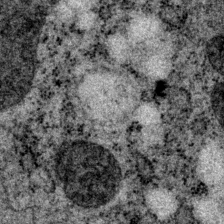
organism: P. pacificus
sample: Pharynx